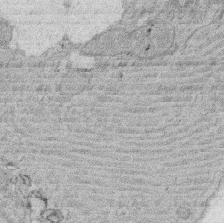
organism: Rat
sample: Salivary granule